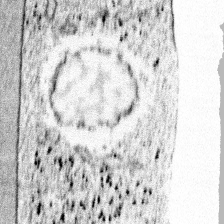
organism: Human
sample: HeLa cells